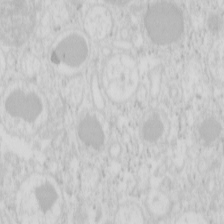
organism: Mouse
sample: Pancreas